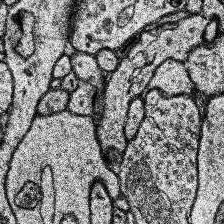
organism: Human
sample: Temporal Lobe